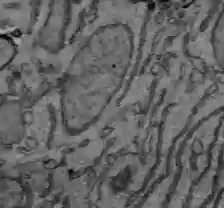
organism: C57BL Mouse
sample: Liver